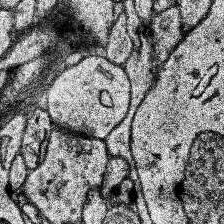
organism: Human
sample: Temporal Lobe